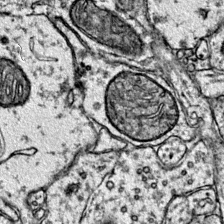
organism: Mouse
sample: Primary visual cortex